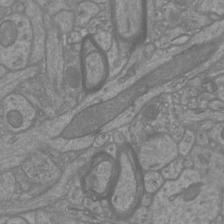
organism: Mouse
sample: Cortical neurons